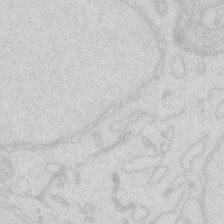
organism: Zebrafish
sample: Macrophage